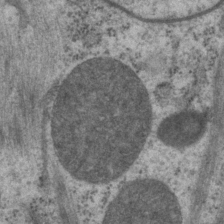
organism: P. pacificus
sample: Pharynx